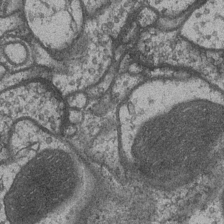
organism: Drosophila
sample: Optic medulla